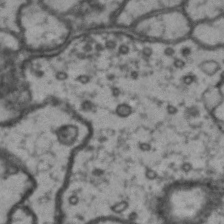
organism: Drosophila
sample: Brain